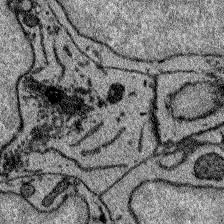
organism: Zebrafish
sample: Larval olfactory bulb